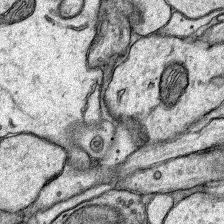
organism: Rat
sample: Hippocampus